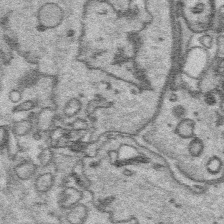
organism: Platynereis dumerilii